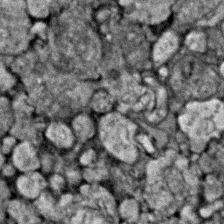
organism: Zebrafish